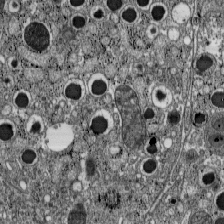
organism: C57BL Mouse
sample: Pancreatic islet